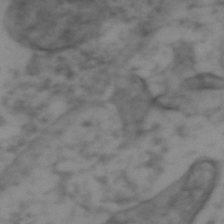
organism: Zebrafish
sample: Zebrafish embryo